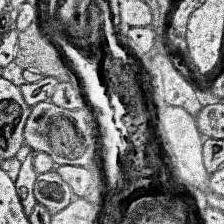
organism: Human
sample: Temporal Lobe